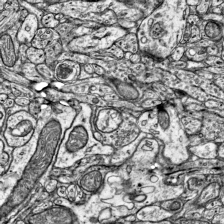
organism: Mouse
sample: Visual Cortex